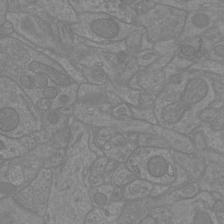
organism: Mouse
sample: Cortical neurons